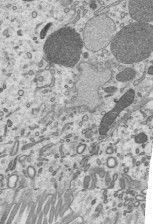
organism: Mouse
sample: Mouse epididymis efferent ductule cilia